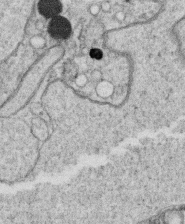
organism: C. elegans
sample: C. elegans oocyte; sperm cells